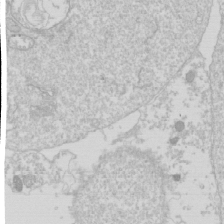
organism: Drosophila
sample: Cell division; meiosis; drosophila spermatocytes